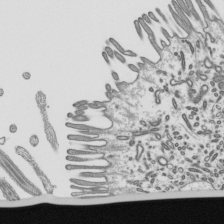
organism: Mouse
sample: Mouse epididymis efferent ductule cilia